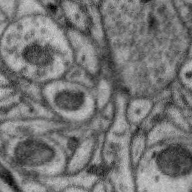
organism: Zebra finch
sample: Brain